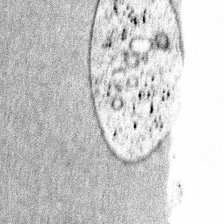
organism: Human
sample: HeLa cells